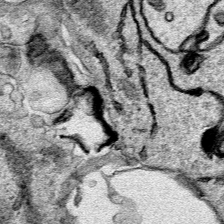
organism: Human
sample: Mitochondria in HCT116 cells